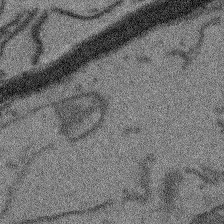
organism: Arabidopsis thaliana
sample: Root tip